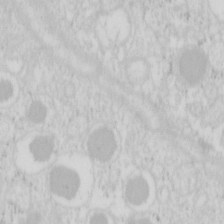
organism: Mouse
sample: Pancreas